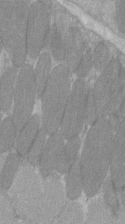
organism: C57BL Mouse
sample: Tibialis anterior muscle cell